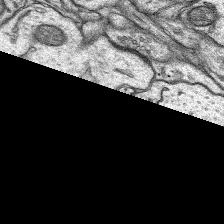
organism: Rat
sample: Hippocampus